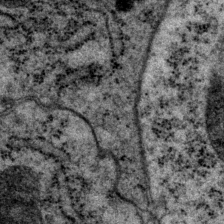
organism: P. pacificus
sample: Pharynx